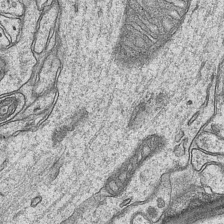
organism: Mouse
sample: CA1 Hippocampus